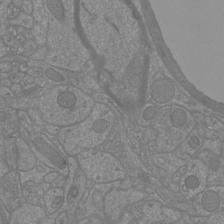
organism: Mouse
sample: Cortical neurons